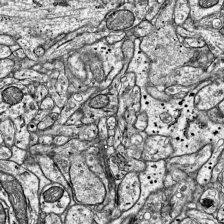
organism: Mouse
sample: Visual Cortex